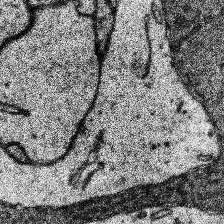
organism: Human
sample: Temporal Lobe